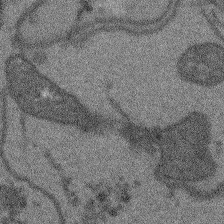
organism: Arabidopsis thaliana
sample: Root tip